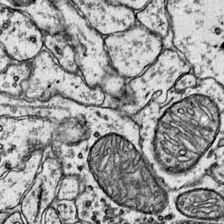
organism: Mouse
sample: Primary visual cortex